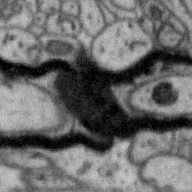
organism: Zebra finch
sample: Brain